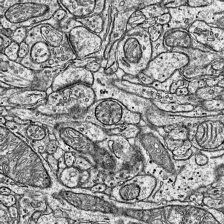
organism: Mouse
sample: Visual Cortex